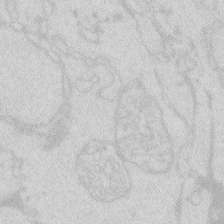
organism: Zebrafish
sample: Macrophage